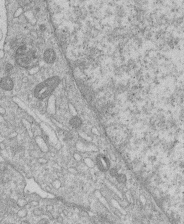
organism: Human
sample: Macrophage cells